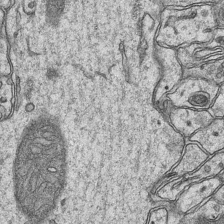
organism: Mouse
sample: CA1 Hippocampus